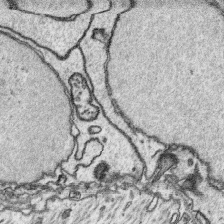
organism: Platynereis dumerilii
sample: Parapodia